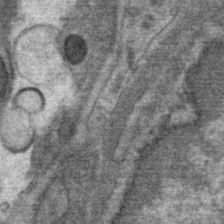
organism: Mouse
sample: Mouse Salivary gland